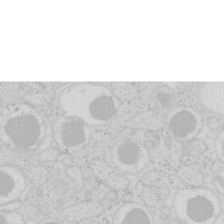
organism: Mouse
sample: Pancreas